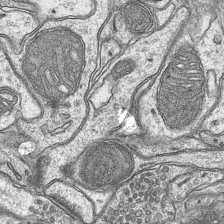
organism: Mouse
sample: CA1 Hippocampus